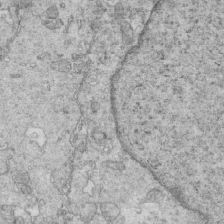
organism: Mouse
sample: Multiciliated cells